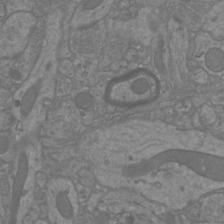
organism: Mouse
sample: Cortical neurons